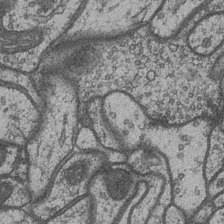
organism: Drosophila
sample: Optic medulla